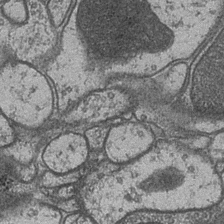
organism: Drosophila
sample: Optic medulla